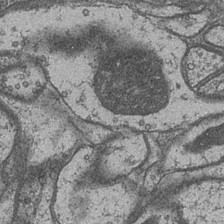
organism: Drosophila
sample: Optic medulla